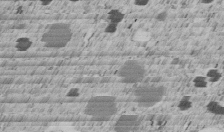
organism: C. elegans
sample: C. elegans embryo early stage